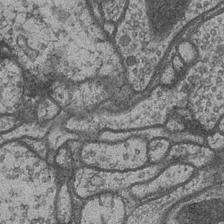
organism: Drosophila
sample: Optic medulla